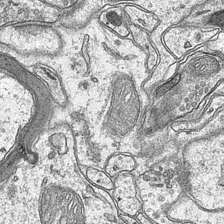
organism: Mouse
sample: CA1 Hippocampus